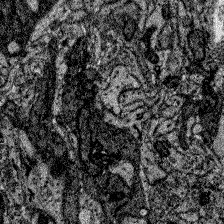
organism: Zebrafish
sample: Larval olfactory bulb